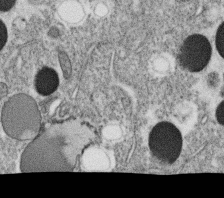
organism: C. elegans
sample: C. elegans oocyte; sperm cells